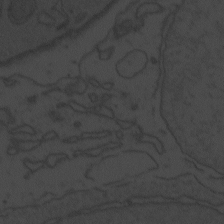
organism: Zebrafish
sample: Macrophage infected with Toxoplasma gondii